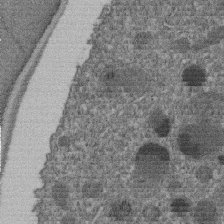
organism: C. elegans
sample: C. elegans embryo early stage